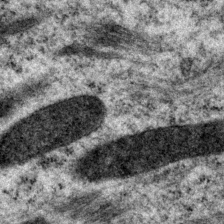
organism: P. pacificus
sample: Pharynx